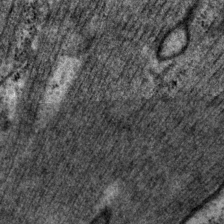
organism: P. pacificus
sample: Pharynx